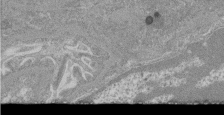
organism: Mouse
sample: Glomerulus